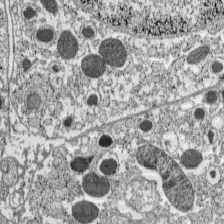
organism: C57BL Mouse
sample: Pancreatic islet